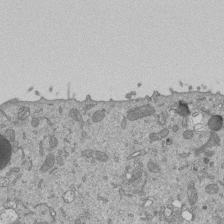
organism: Mouse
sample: ED-1 cell nuclei; centrioles